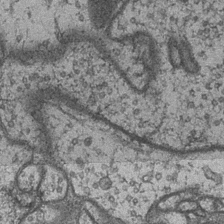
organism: Drosophila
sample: Optic medulla